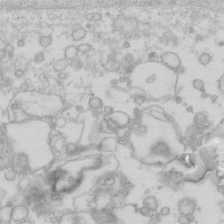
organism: Human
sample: Fibroblast cells